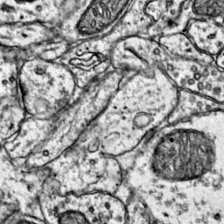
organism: Mouse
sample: Primary visual cortex